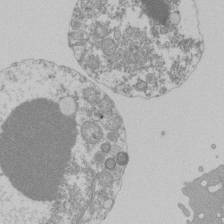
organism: Mouse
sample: Activated Pmel transgenic CD8+ T Cells